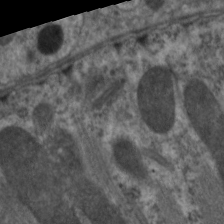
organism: C. elegans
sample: Pharynx